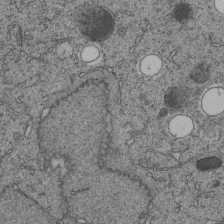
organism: C. elegans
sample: C. elegans embryo early stage